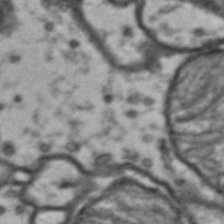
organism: Drosophila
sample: Brain